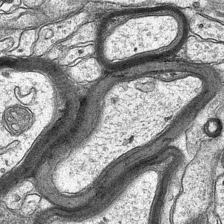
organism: Mouse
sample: CA1 Hippocampus